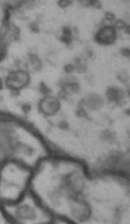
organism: Drosophila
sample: Brain